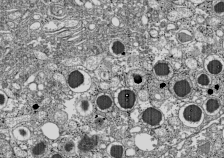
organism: C57BL Mouse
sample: Pancreatic islet